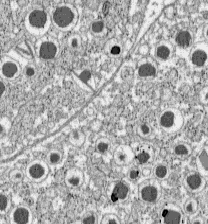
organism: C57BL Mouse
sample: Pancreatic islet